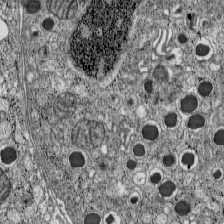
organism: C57BL Mouse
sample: Pancreatic islet